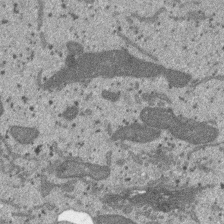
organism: Human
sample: Lung epithelial cells infected with SARS-CoV-2